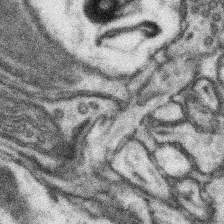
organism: Mouse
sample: Somatosensory cortex neuropil